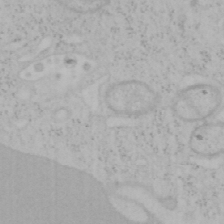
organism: Mouse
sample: OT-I killer T cells with ID8 ovarian cancer cells